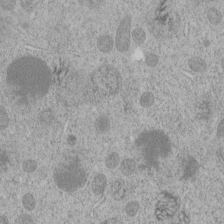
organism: C. elegans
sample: C. elegans embryo early stage